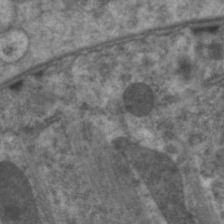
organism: C. elegans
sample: Pharynx